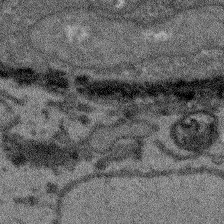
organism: Arabidopsis thaliana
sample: Root tip